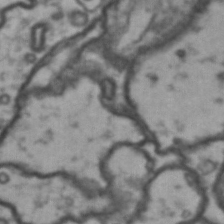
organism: Drosophila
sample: Brain